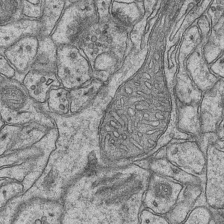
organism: Mouse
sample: CA1 Hippocampus